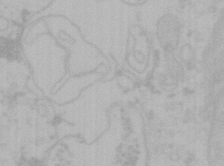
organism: Mouse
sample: Choroid plexus